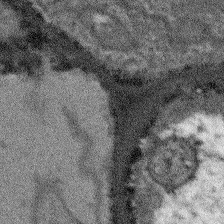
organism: Arabidopsis thaliana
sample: Root tip